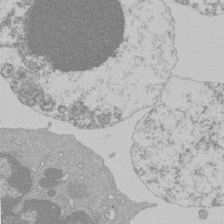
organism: Mouse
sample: Activated Pmel transgenic CD8+ T Cells